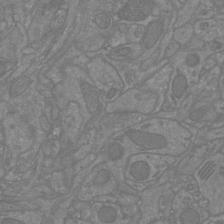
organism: Mouse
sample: Cortical neurons